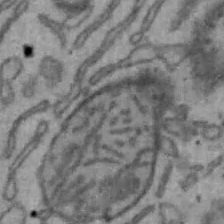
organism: Mouse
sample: Liver